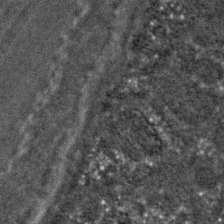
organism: C. elegans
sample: C. elegans embryo